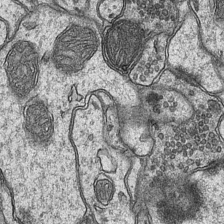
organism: Mouse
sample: CA1 Hippocampus